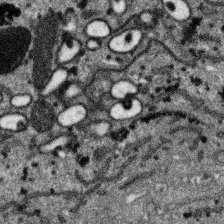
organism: Human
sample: Lung epithelial cells infected with SARS-CoV-2